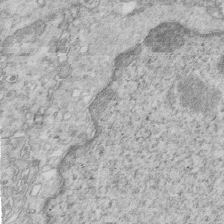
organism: Mouse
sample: Multiciliated cells